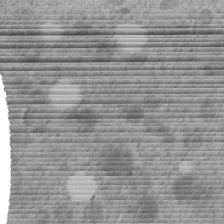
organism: C. elegans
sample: C. elegans embryo early stage